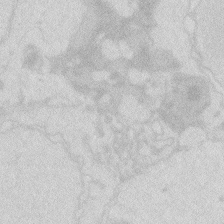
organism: Zebrafish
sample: Macrophage